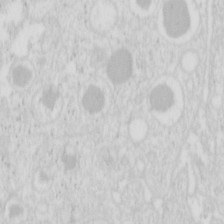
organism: Mouse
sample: Pancreas